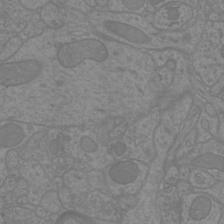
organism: Mouse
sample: Cortical neurons